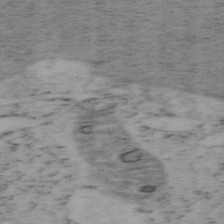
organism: Mouse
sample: OT-I killer T cells with ID8 ovarian cancer cells